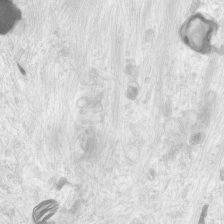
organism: Human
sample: Neocortex